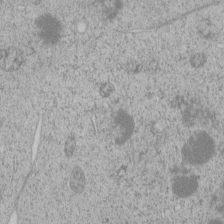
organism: C. elegans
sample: C. elegans embryo early stage